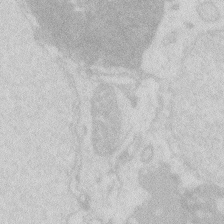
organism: Zebrafish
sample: Macrophage